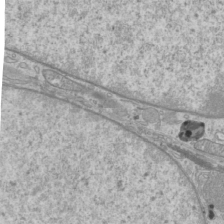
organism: Mouse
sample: Cilia; mouse epididymis